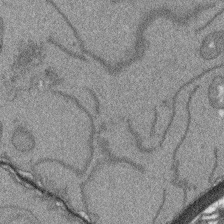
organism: Arabidopsis thaliana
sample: Root tip